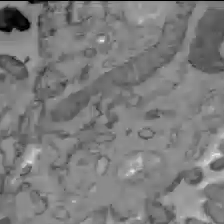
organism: C57BL Mouse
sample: Liver